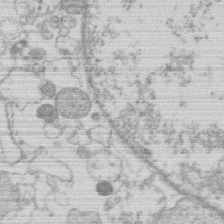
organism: Human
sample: Macrophage cells